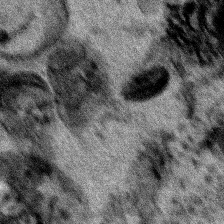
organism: Human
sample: Mitochondria in HCT116 cells